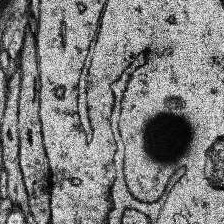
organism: Human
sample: Temporal Lobe